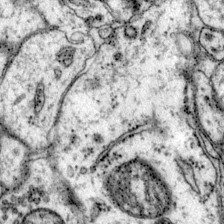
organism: Mouse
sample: Primary visual cortex